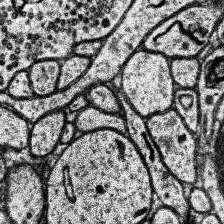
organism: Human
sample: Temporal Lobe